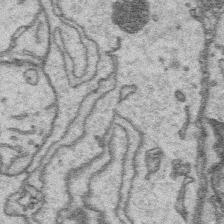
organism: Platynereis dumerilii